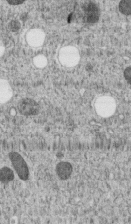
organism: C. elegans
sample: C. elegans embryo early stage